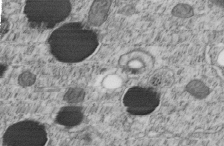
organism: C. elegans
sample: C. elegans embryo early stage